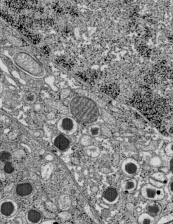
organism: C57BL Mouse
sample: Pancreatic islet